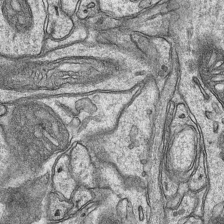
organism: Mouse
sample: CA1 Hippocampus